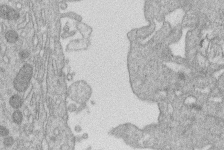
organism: Human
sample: Macrophage cells